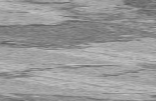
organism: C57BL Mouse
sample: Heart